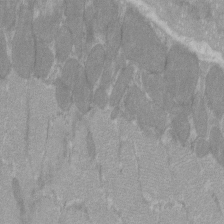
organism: C57BL Mouse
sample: Tibialis anterior muscle cell